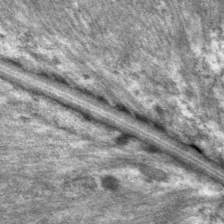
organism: C. elegans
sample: Pharynx